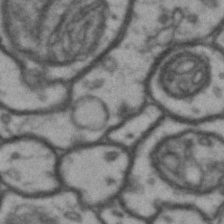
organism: Drosophila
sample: Brain